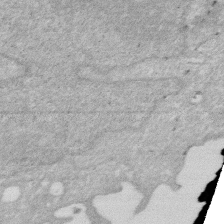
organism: Human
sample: HIV infected U937 cells